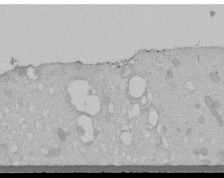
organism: Human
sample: Melanocyte Keratinocyte synapse skin construct